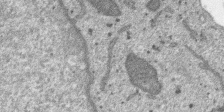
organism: Human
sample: Lung epithelial cells infected with SARS-CoV-2